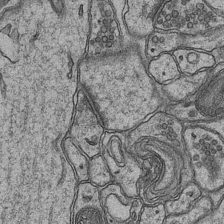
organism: Mouse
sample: CA1 Hippocampus